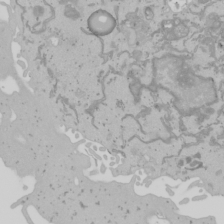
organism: Mouse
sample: Cancer cell death in ED-1 cells